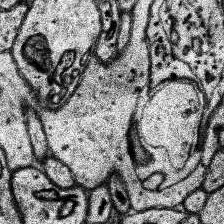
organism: Human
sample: Temporal Lobe